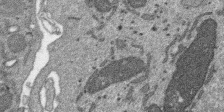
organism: Human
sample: Lung epithelial cells infected with SARS-CoV-2